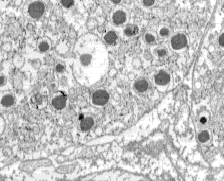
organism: C57BL Mouse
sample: Pancreatic islet